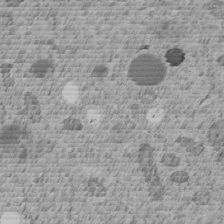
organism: C. elegans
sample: C. elegans embryo early stage